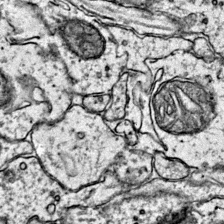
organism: Mouse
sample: Primary visual cortex